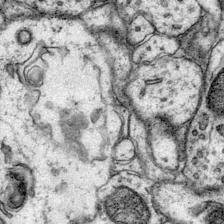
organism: Mouse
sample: Primary visual cortex